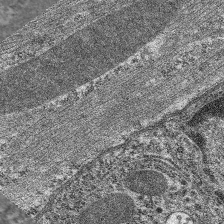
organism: C. elegans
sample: Pharynx